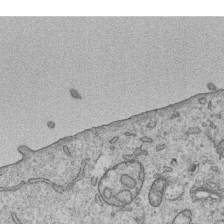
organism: Human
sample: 1205lu cells